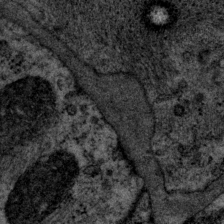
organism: P. pacificus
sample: Pharynx